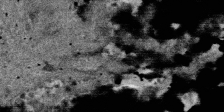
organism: Human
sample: Lung epithelial cells, uninfected (mock) control